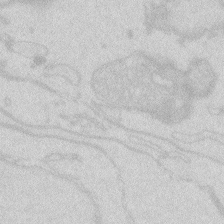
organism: Zebrafish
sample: Macrophage